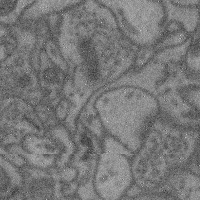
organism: Mouse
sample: Cerebral cortex